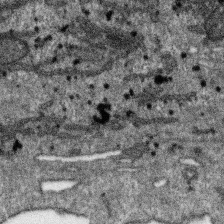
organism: Human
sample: Lung epithelial cells infected with SARS-CoV-2